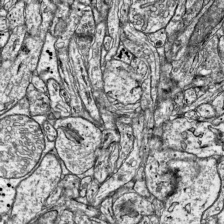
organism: Mouse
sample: Visual Cortex